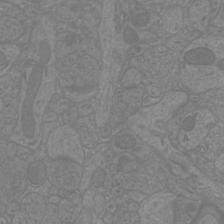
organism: Mouse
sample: Cortical neurons